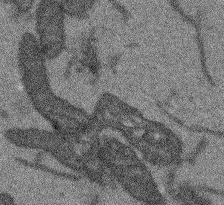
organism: Arabidopsis thaliana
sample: Root tip